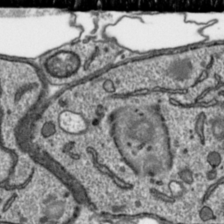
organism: Toxoplasma gondii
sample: Parasites in a vacuole inside a host cell